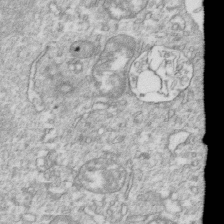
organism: Mouse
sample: Activated OT-1 CD8+ T cells